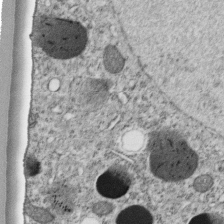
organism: C. elegans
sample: C. elegans embryo early stage